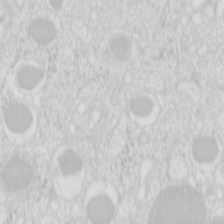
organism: Mouse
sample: Pancreas